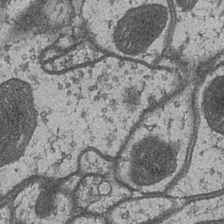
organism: Drosophila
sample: Optic medulla